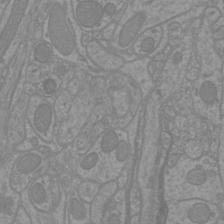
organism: Mouse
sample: Cortical neurons